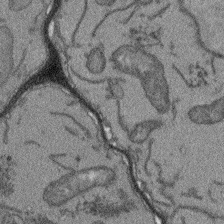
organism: Arabidopsis thaliana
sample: Root tip